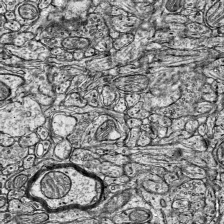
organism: Mouse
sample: Visual Cortex